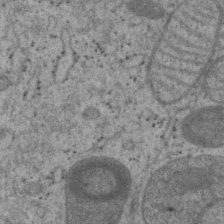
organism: Human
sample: HeLa cells